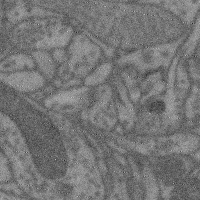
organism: Mouse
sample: Cerebral cortex